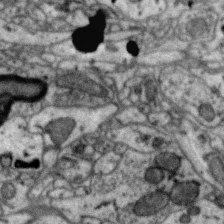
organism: Zebra finch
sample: Brain